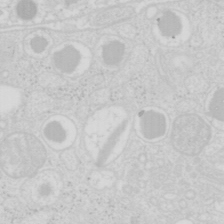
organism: Mouse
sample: Pancreas